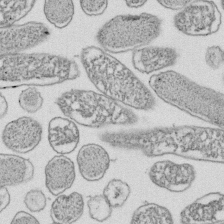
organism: E. coli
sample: Bacterial nucleoid